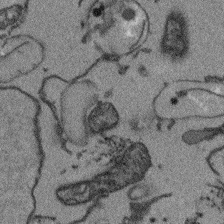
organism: Arabidopsis thaliana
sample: Root tip